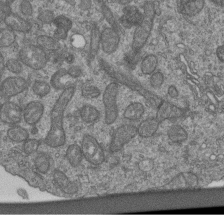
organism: Human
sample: Retinal organoid Rod and Cone cells